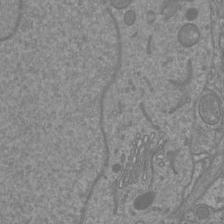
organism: Mouse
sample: Cortical neurons